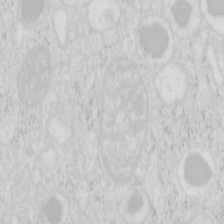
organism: Mouse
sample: Pancreas